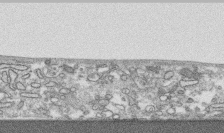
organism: Human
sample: CRL-1474